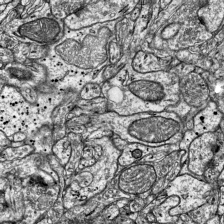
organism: Mouse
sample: Visual Cortex